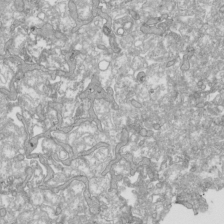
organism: Human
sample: Mitochondria in HCT116 cells